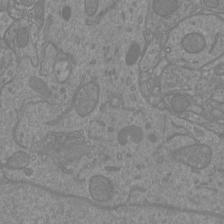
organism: Mouse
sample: Cortical neurons